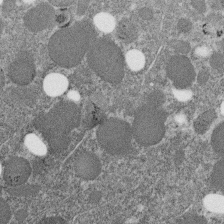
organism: C. elegans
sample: C. elegans embryo early stage